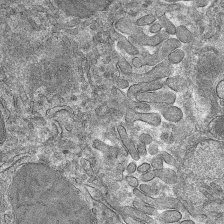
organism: Mouse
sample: Mouse hepatocytes